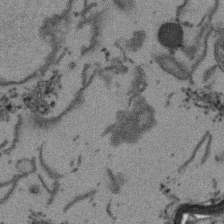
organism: Arabidopsis thaliana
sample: Root tip